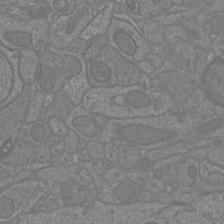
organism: Mouse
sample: Cortical neurons